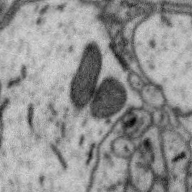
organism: Zebra finch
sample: Brain